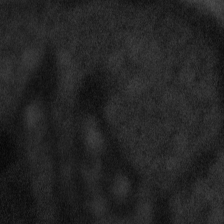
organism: Tuwongella immobilis